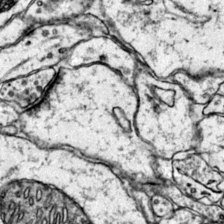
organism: Mouse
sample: Primary visual cortex